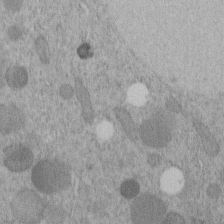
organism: C. elegans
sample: C. elegans embryo early stage